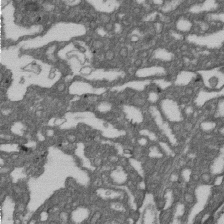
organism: Drosophila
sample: Nephrocyte